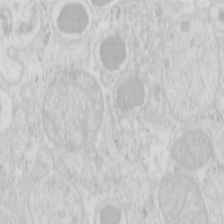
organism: Mouse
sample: Pancreas